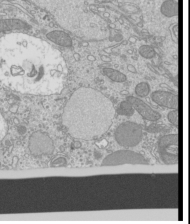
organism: Mouse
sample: Cilia; mouse epididymis